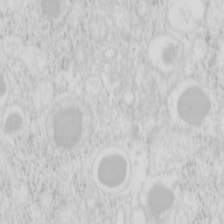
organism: Mouse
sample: Pancreas